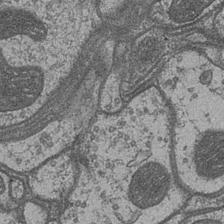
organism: Drosophila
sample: Optic medulla